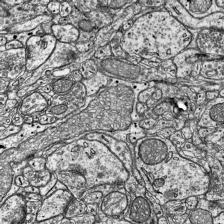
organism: Mouse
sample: Visual Cortex